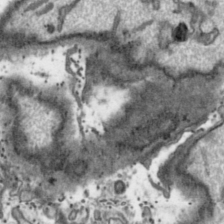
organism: Toxoplasma gondii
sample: Parasites in a vacuole inside a host cell